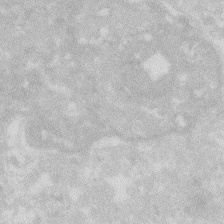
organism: Zebrafish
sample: Macrophage